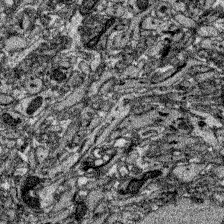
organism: Zebrafish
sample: Larval olfactory bulb